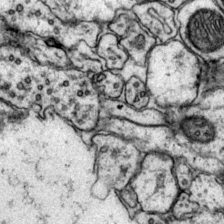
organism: Mouse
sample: Primary visual cortex